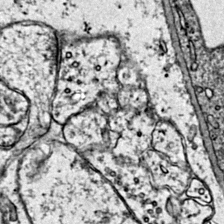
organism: Mouse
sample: Primary visual cortex